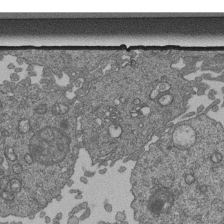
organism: Human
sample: Retinal organoid Rod and Cone cells